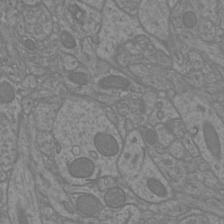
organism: Mouse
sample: Cortical neurons